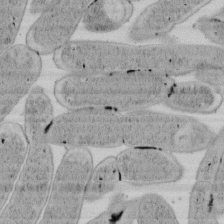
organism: E. coli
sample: Bacterial nucleoid